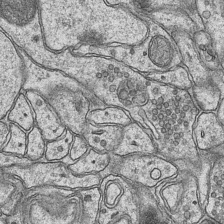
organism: Mouse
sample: CA1 Hippocampus